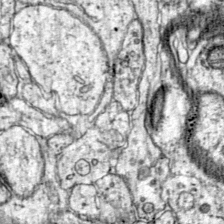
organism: Mouse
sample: Primary visual cortex